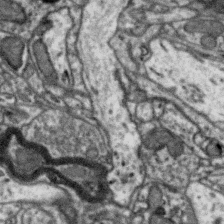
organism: Zebra finch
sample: Brain